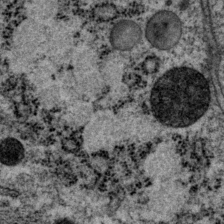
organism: P. pacificus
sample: Pharynx